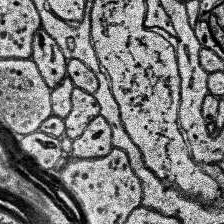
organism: Human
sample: Temporal Lobe